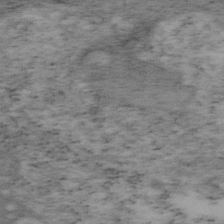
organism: Mouse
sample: OT-I killer T cells with ID8 ovarian cancer cells